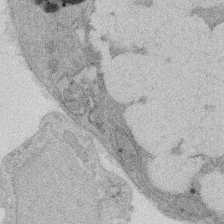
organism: Rat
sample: Salivary granule